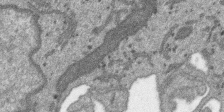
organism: Human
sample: Lung epithelial cells infected with SARS-CoV-2